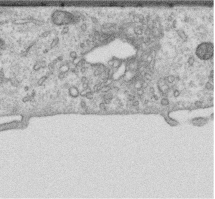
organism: Human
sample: Centriole in RPE cells